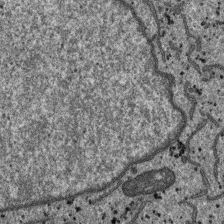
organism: Human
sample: Lung epithelial cells infected with SARS-CoV-2